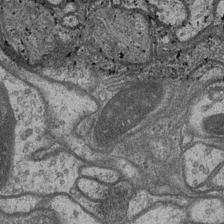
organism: Drosophila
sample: Optic medulla